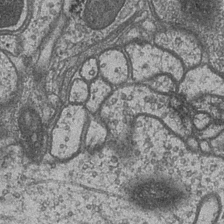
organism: Drosophila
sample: Optic medulla